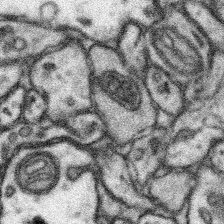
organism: Mouse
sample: Somatosensory cortex neuropil